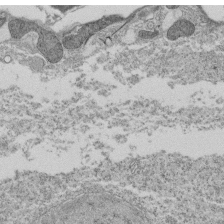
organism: Tetrahymena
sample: Cilia in tetrahymena